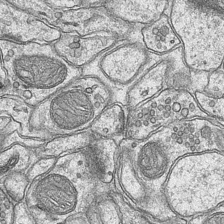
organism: Mouse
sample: CA1 Hippocampus